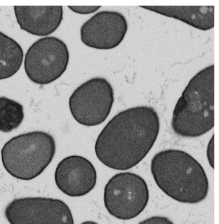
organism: B. subtilis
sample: Bacterial spore